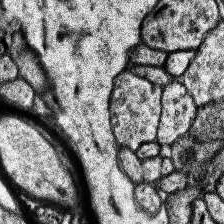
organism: Human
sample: Temporal Lobe